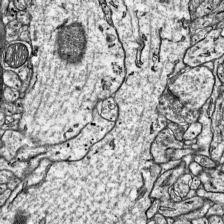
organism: Mouse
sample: Visual Cortex